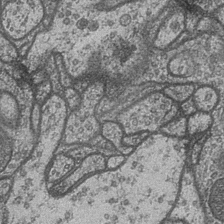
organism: Drosophila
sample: Optic medulla